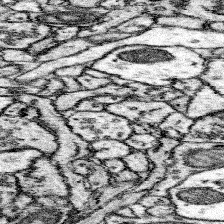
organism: Mouse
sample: Somatosensory cortex neuropil